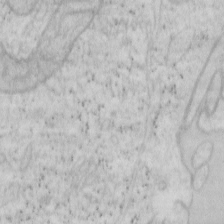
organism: Human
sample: HeLa cells